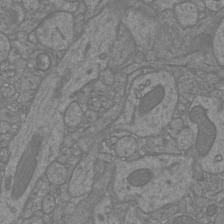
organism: Mouse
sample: Cortical neurons